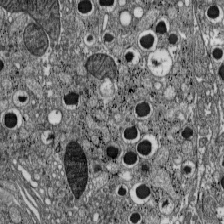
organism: C57BL Mouse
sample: Pancreatic islet